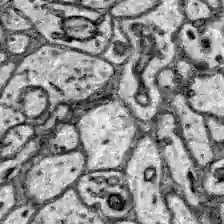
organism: Zebrafish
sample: Brain